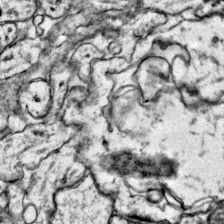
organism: Mouse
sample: Primary visual cortex